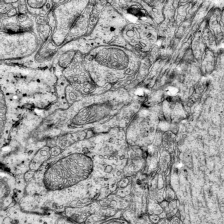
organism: Mouse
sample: Visual Cortex